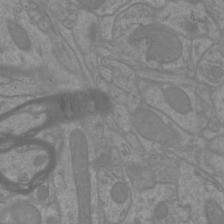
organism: Mouse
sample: Cortical neurons